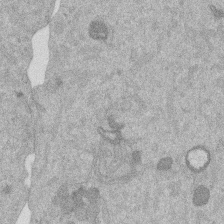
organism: Mouse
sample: Dividing mouse embryo 1 cell stage